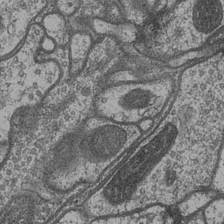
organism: Drosophila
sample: Optic medulla